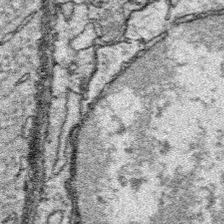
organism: Platynereis dumerilii